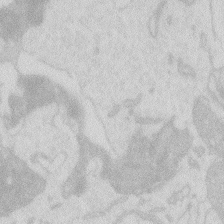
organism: Zebrafish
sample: Macrophage